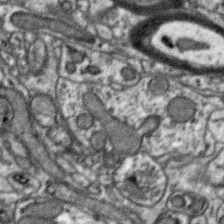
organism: Zebra finch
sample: Brain